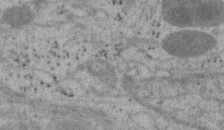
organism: Human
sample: HeLa cells